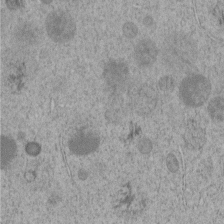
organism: C. elegans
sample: C. elegans embryo early stage